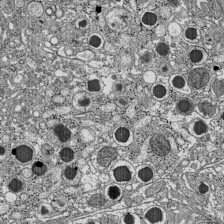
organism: C57BL Mouse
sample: Pancreatic islet